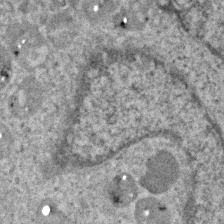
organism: Human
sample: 1205lu cells